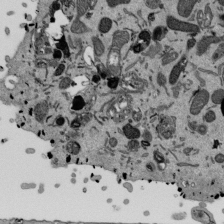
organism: Mouse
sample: ED-1 cell nuclei; centrioles